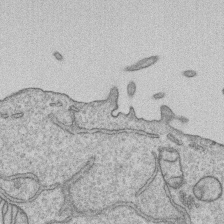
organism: Human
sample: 1205lu cells